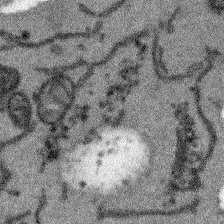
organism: Arabidopsis thaliana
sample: Root tip